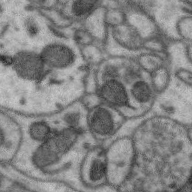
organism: Zebra finch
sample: Brain